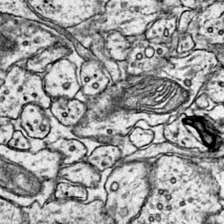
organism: Mouse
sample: Primary visual cortex